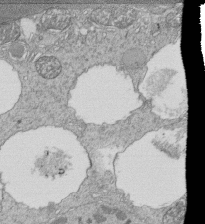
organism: Tetrahymena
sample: Cilia in tetrahymena